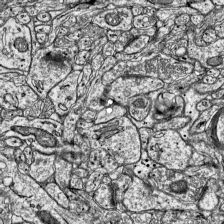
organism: Mouse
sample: Visual Cortex